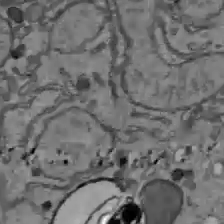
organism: C57BL Mouse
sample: Liver